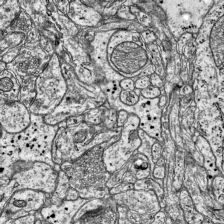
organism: Mouse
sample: Visual Cortex